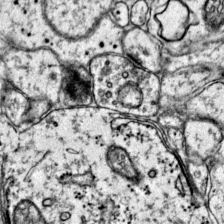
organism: Mouse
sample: Primary visual cortex